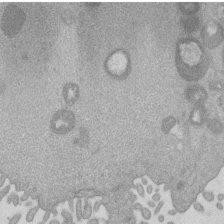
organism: Mouse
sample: Dividing mouse embryo 1 cell stage